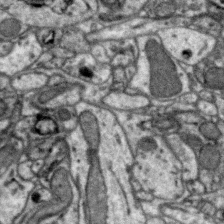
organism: Zebra finch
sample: Brain